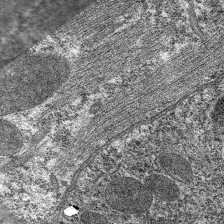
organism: C. elegans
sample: Pharynx